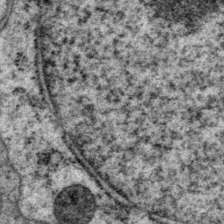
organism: P. pacificus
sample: Pharynx